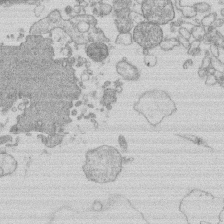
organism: Human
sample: Macrophage cells